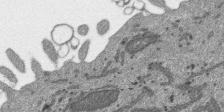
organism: Human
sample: Lung epithelial cells infected with SARS-CoV-2